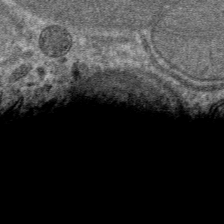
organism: Mouse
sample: Mouse hepatocytes